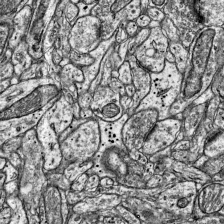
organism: Mouse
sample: Visual Cortex